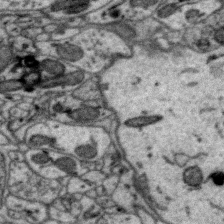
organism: Zebra finch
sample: Brain